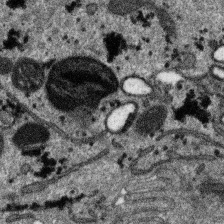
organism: Human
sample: Lung epithelial cells infected with SARS-CoV-2